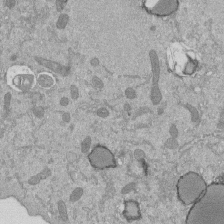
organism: Mouse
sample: ED-1 cell nuclei; centrioles